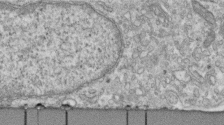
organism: Human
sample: Centriole in fibroblast cells